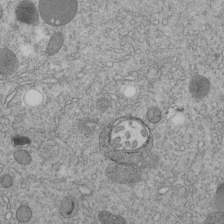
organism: C. elegans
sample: C. elegans embryo early stage